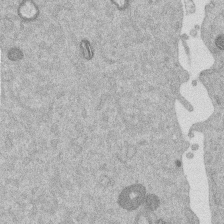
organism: Mouse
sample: Dividing mouse embryo 1 cell stage